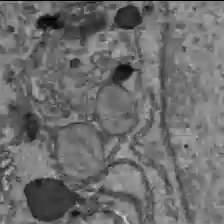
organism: C57BL Mouse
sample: Liver